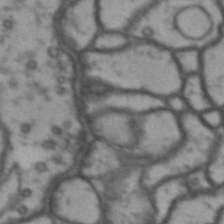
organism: Drosophila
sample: Brain